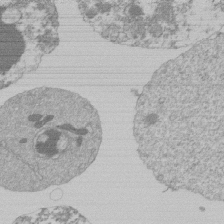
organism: Mouse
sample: Activated Pmel transgenic CD8+ T Cells